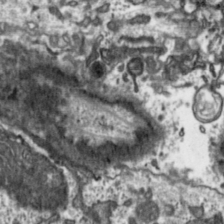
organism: Toxoplasma gondii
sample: Parasites in a vacuole inside a host cell